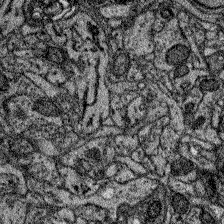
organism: Zebrafish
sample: Larval olfactory bulb